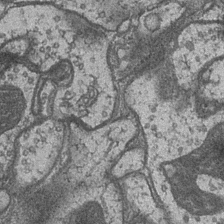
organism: Drosophila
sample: Optic medulla